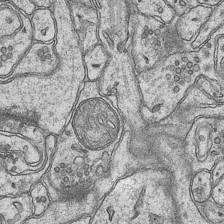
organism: Mouse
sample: CA1 Hippocampus